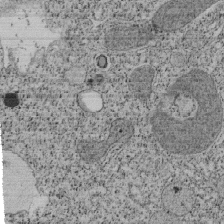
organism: Tetrahymena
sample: Cilia in tetrahymena